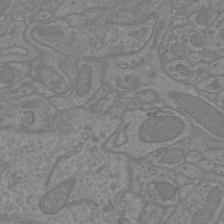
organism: Mouse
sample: Cortical neurons